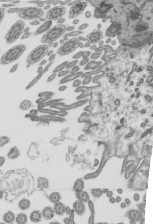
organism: Mouse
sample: Mouse epididymis efferent ductule cilia